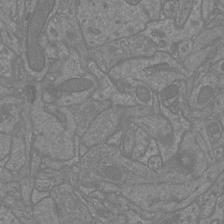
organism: Mouse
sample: Cortical neurons